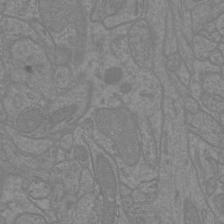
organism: Mouse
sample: Cortical neurons